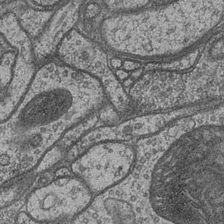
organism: Drosophila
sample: Optic medulla